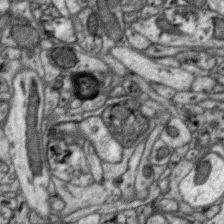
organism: Zebra finch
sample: Brain